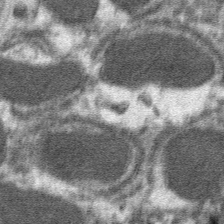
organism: Mouse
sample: Mouse hepatocytes